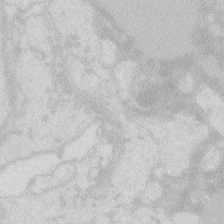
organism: Zebrafish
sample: Macrophage